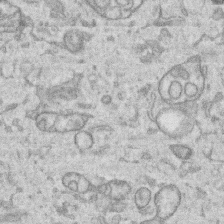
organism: Human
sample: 1205lu cells